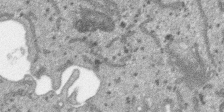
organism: Human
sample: Lung epithelial cells infected with SARS-CoV-2